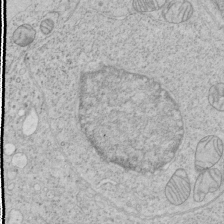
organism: Human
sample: Mitochondria in HCT116 cells